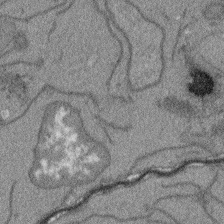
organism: Arabidopsis thaliana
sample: Root tip